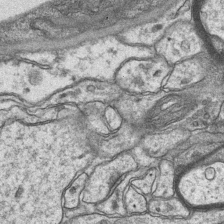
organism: Mouse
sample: CA1 Hippocampus